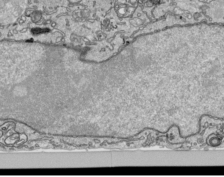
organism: Human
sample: Mitochondria in HCT116 cells